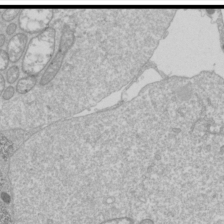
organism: Drosophila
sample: Cell division; meiosis; drosophila spermatocytes